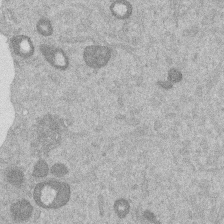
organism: Mouse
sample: Dividing mouse embryo 1 cell stage